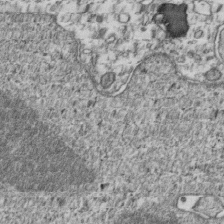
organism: Human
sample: Activated Jurkat CD4+ T cells